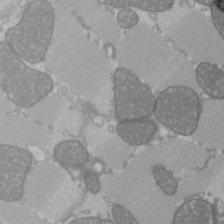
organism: C57BL Mouse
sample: Heart